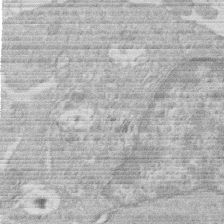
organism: Human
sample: Macrophage cells